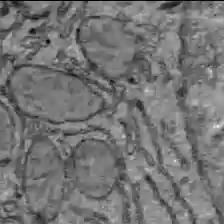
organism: C57BL Mouse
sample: Liver